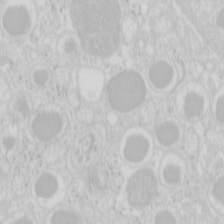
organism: Mouse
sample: Pancreas